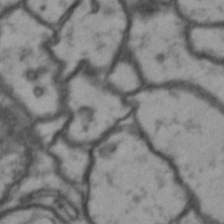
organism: Drosophila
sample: Brain